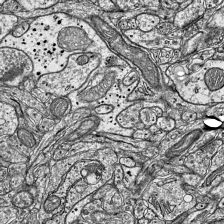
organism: Mouse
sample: Visual Cortex